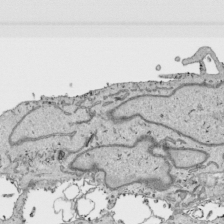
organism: Human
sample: Mitochondria in HCT116 cells